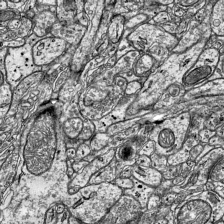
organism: Mouse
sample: Visual Cortex